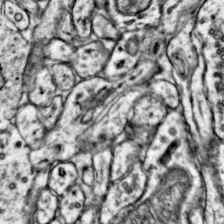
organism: Mouse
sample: Primary visual cortex